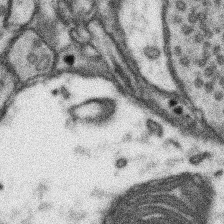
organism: Mouse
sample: Somatosensory cortex neuropil